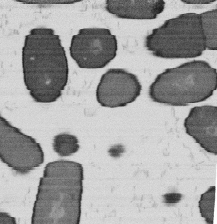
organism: B. subtilis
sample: Bacterial spore